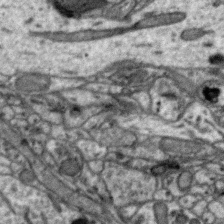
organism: Zebra finch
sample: Brain